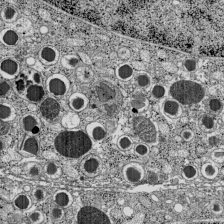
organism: C57BL Mouse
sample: Pancreatic islet